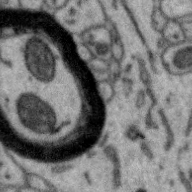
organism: Zebra finch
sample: Brain